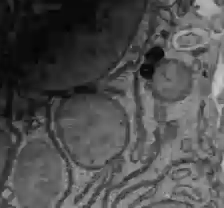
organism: C57BL Mouse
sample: Liver